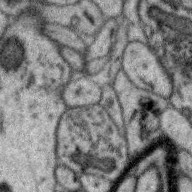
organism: Zebra finch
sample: Brain